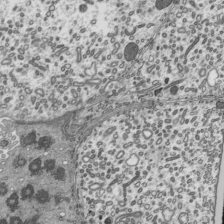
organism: Mouse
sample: Mouse epididymis efferent ductule cilia